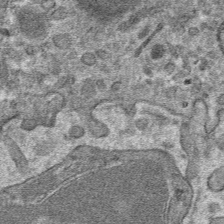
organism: Mouse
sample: Mouse hepatocytes